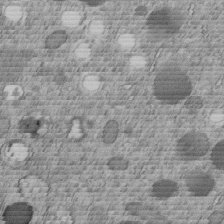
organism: C. elegans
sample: C. elegans embryo early stage